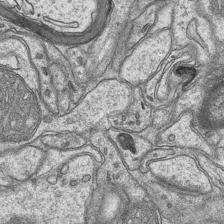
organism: Mouse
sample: CA1 Hippocampus